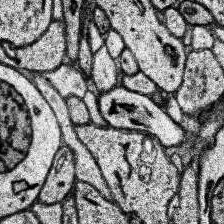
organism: Human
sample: Temporal Lobe